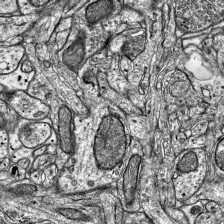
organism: Mouse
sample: Visual Cortex